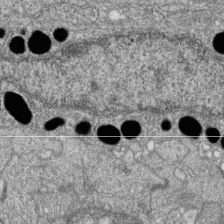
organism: Zebrafish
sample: Cilia; retinal pigment epithelium